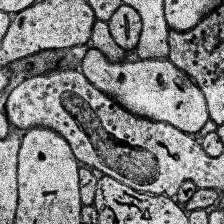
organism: Human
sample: Temporal Lobe